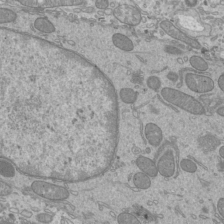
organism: Mouse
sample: Cilia; mouse epididymis